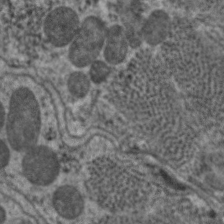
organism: C. elegans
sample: Pharynx